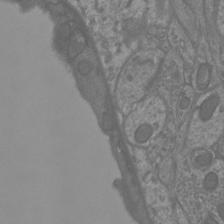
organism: Mouse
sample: Cortical neurons